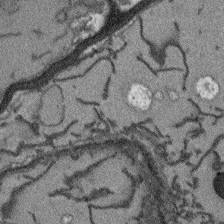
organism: Arabidopsis thaliana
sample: Root tip